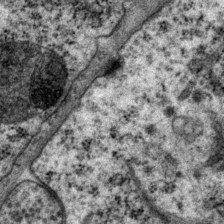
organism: P. pacificus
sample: Pharynx